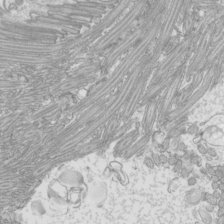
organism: Mouse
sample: Cilia; mouse epididymis